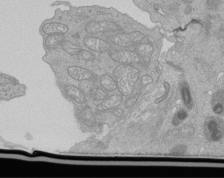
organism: Human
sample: Retinal organoid Rod and Cone cells